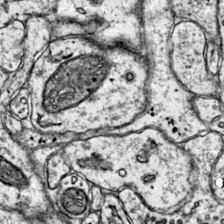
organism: Mouse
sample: Primary visual cortex